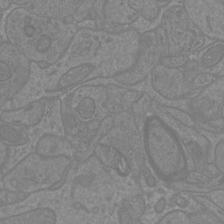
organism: Mouse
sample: Cortical neurons